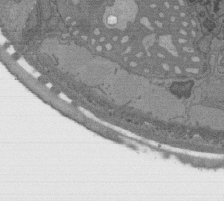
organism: C. elegans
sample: AFD neurons C. elegans